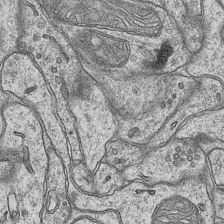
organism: Mouse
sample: CA1 Hippocampus